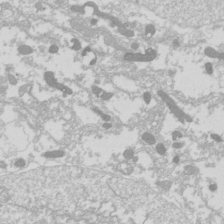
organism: Drosophila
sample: Cell division; meiosis; drosophila spermatocytes